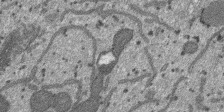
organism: Human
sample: Lung epithelial cells infected with SARS-CoV-2